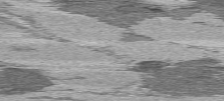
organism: C57BL Mouse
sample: Heart